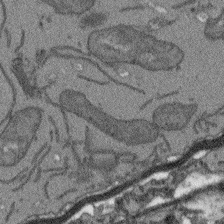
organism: Arabidopsis thaliana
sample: Root tip